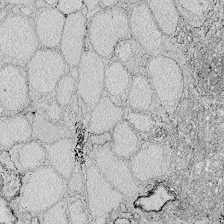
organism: Zebrafish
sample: Whole-Brain